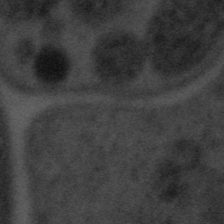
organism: Tuwongella immobilis